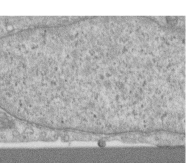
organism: Human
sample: Centriole in RPE cells